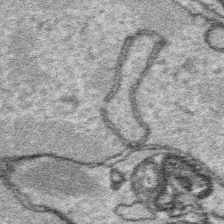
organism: Platynereis dumerilii